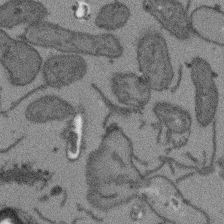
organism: Arabidopsis thaliana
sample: Root tip